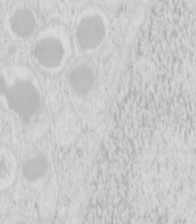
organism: Mouse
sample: Pancreas